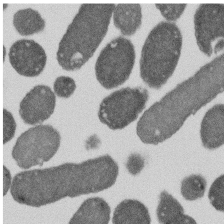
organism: E. coli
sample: Bacterial nucleoid